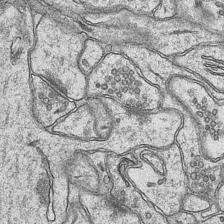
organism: Mouse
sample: CA1 Hippocampus